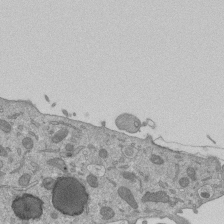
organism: Mouse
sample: ED-1 cell nuclei; centrioles